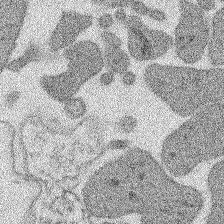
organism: Human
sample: HeLa cells